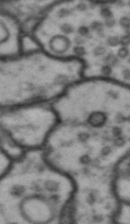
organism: Drosophila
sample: Brain